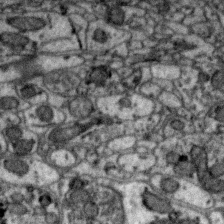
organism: Zebra finch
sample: Brain